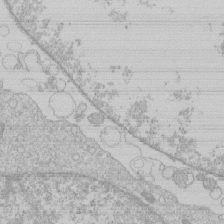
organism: Human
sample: Macrophage cells